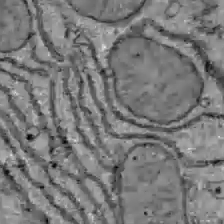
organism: C57BL Mouse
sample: Liver